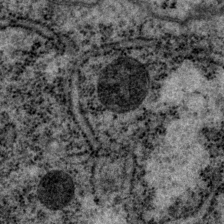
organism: P. pacificus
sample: Pharynx